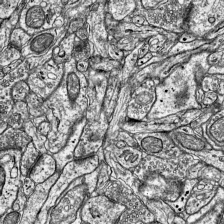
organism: Mouse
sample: Visual Cortex